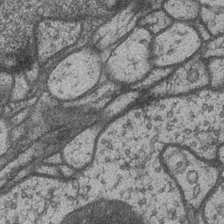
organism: Drosophila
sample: Optic medulla